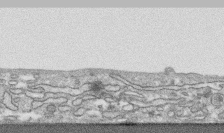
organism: Human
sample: CRL-1474